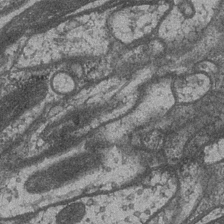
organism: Drosophila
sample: Optic medulla